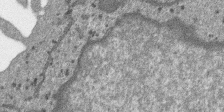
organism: Human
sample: Lung epithelial cells infected with SARS-CoV-2